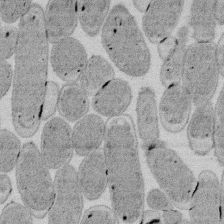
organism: E. coli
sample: Bacterial nucleoid